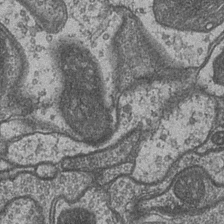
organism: Drosophila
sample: Optic medulla